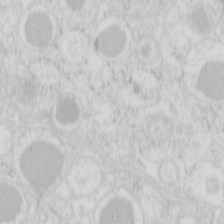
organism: Mouse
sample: Pancreas